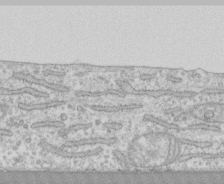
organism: Human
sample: CRL-1474